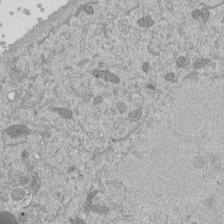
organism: Mouse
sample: ED-1 cell nuclei; centrioles